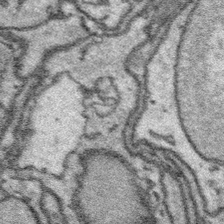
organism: Platynereis dumerilii